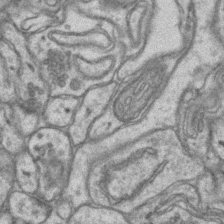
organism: Mouse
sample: CA1 Hippocampus